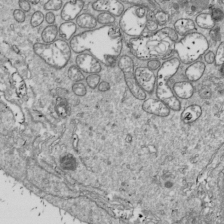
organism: Drosophila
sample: Cell division; meiosis; drosophila spermatocytes